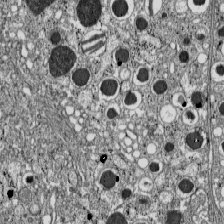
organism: C57BL Mouse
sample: Pancreatic islet